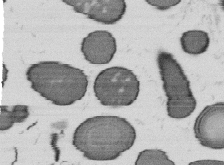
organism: B. subtilis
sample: Bacterial spore